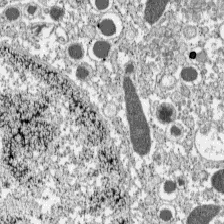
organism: C57BL Mouse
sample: Pancreatic islet